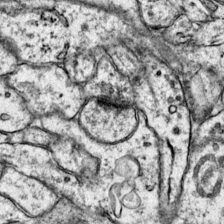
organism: Mouse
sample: Primary visual cortex